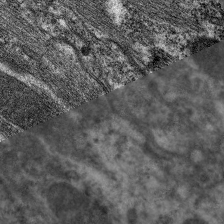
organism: C. elegans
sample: Pharynx